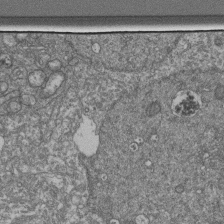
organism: Human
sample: Retinal organoid Rod and Cone cells